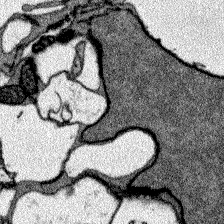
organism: Zebrafish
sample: Larval olfactory bulb